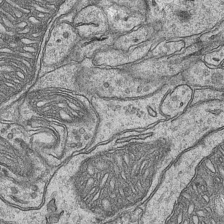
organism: Mouse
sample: CA1 Hippocampus